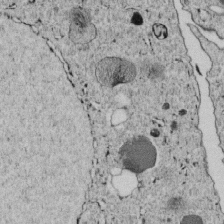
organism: C. elegans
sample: C. elegans embryo early stage